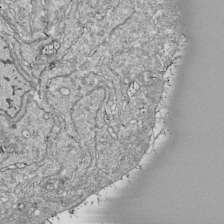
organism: Drosophila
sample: Cell division; meiosis; drosophila spermatocytes